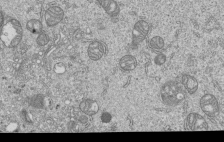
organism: Human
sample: MDA-MB-231 cells